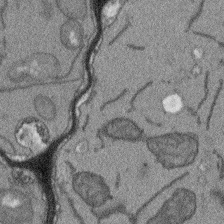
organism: Arabidopsis thaliana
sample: Root tip